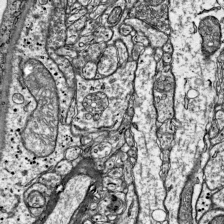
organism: Mouse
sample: Visual Cortex